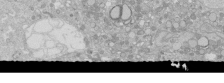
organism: Human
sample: Caco-2 cells